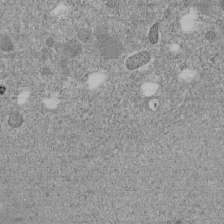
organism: C. elegans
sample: C. elegans embryo early stage